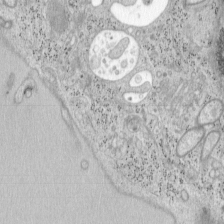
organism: Mouse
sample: OT-I killer T cells with ID8 ovarian cancer cells